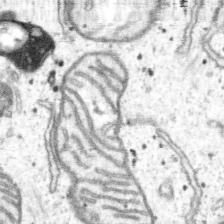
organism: Human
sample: HeLa cells